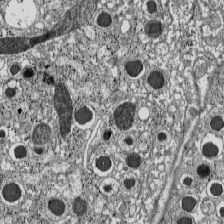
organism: C57BL Mouse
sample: Pancreatic islet